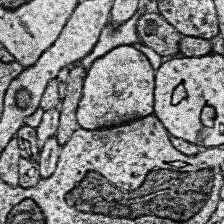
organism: Human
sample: Temporal Lobe